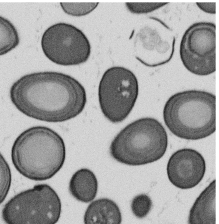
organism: B. subtilis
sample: Bacterial spore